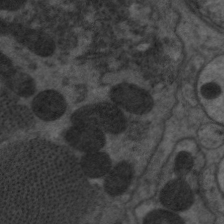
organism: C. elegans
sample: Pharynx